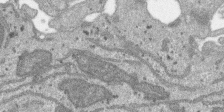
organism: Human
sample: Lung epithelial cells infected with SARS-CoV-2